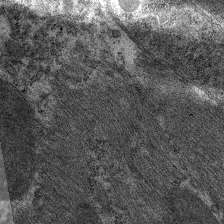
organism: C. elegans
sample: Pharynx